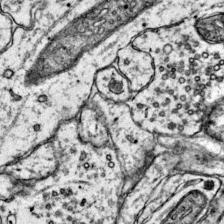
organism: Mouse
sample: Primary visual cortex